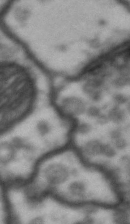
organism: Drosophila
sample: Brain